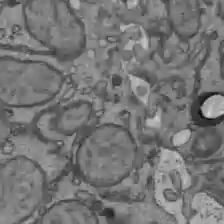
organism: C57BL Mouse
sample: Liver